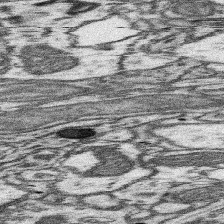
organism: Mouse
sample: Somatosensory cortex neuropil